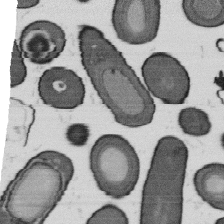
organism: B. subtilis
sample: Bacterial spore